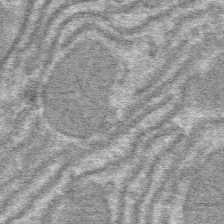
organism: Mouse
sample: Mouse hepatocytes